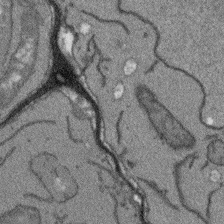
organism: Arabidopsis thaliana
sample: Root tip